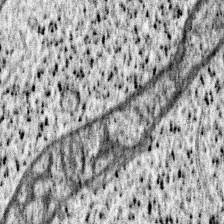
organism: Human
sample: HeLa cells